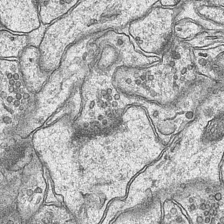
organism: Mouse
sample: CA1 Hippocampus